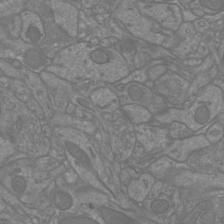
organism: Mouse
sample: Cortical neurons